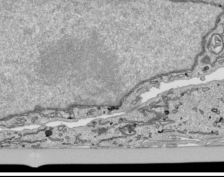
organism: Human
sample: Mitochondria in HCT116 cells